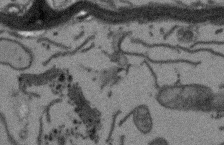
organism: Arabidopsis thaliana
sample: Root tip